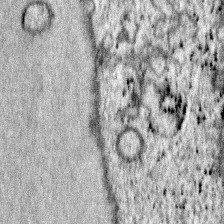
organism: Human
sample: HeLa cells